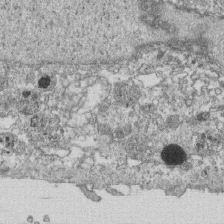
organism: Human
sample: HeLa cell HIV synapse